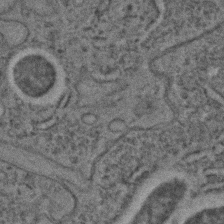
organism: C. elegans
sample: C. elegans embryo